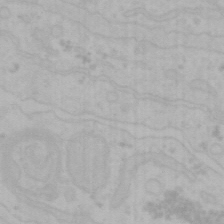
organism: Mouse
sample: Choroid plexus